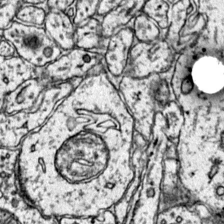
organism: Mouse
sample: Primary visual cortex